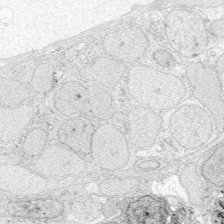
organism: Zebrafish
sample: Whole-Brain